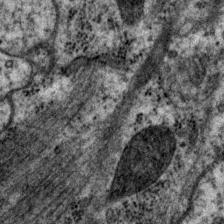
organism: P. pacificus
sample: Pharynx